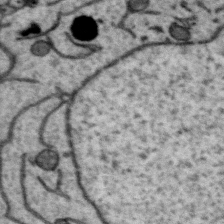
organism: Zebra finch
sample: Brain